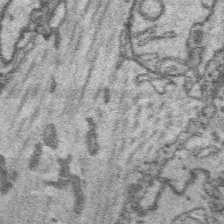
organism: Platynereis dumerilii